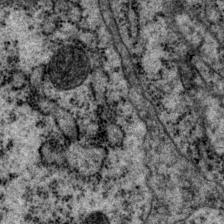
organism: P. pacificus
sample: Pharynx